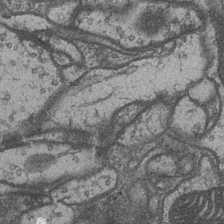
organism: Drosophila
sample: Optic medulla